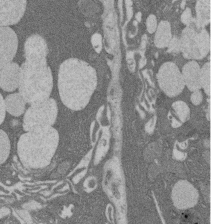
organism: Rat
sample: Salivary granule